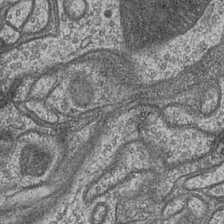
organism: Drosophila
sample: Optic medulla